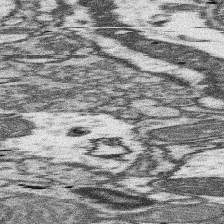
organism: Mouse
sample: Somatosensory cortex neuropil